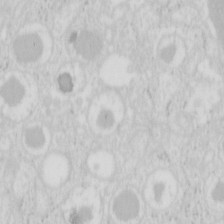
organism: Mouse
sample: Pancreas